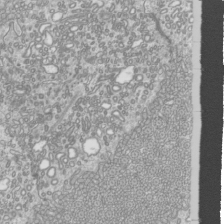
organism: Mouse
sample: Cilia; mouse epididymis